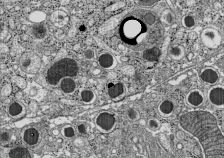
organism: C57BL Mouse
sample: Pancreatic islet